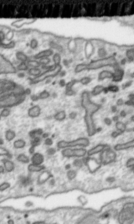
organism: Toxoplasma gondii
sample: Parasites in a vacuole inside a host cell